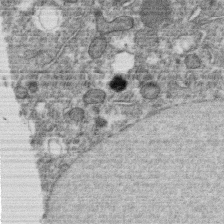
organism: C. elegans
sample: C. elegans oocyte; sperm cells